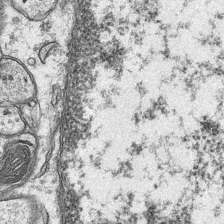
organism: Mouse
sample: CA1 Hippocampus